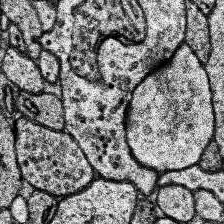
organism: Human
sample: Temporal Lobe